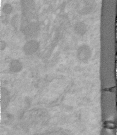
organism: Human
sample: Centriole in RPE cells